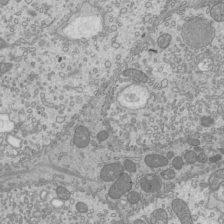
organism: Mouse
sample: Cilia; mouse epididymis